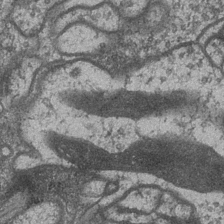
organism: Drosophila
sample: Optic medulla